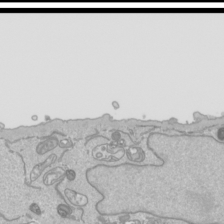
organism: Human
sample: Mitochondria in HCT116 cells